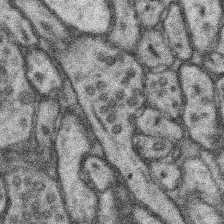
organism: Mouse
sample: Somatosensory cortex neuropil